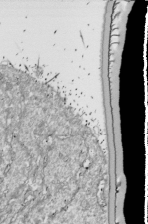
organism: Drosophila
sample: Cell division; meiosis; drosophila spermatocytes